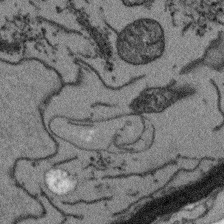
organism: Arabidopsis thaliana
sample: Root tip